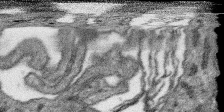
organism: Human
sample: Lung epithelial cells infected with SARS-CoV-2